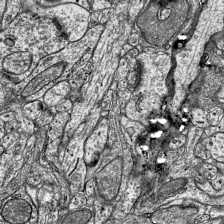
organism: Mouse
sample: Visual Cortex